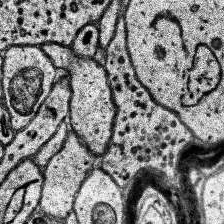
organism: Human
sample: Temporal Lobe